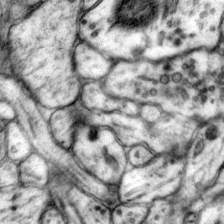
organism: Mouse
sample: Primary visual cortex